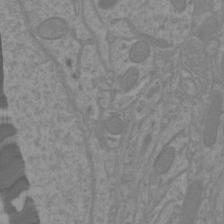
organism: Mouse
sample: Cortical neurons